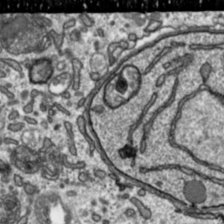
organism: Toxoplasma gondii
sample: Parasites in a vacuole inside a host cell